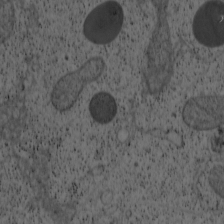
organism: African green monkey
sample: COS-7 cells